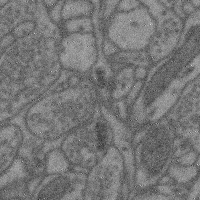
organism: Mouse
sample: Cerebral cortex